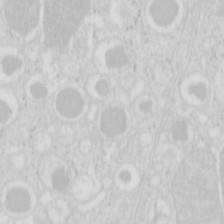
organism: Mouse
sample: Pancreas